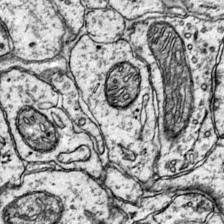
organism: Mouse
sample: Primary visual cortex